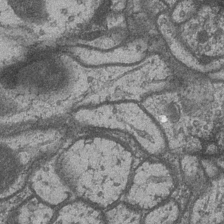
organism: Drosophila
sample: Optic medulla